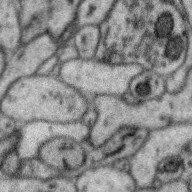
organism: Zebra finch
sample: Brain